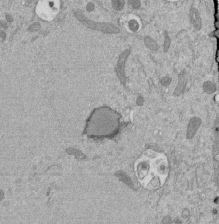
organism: Mouse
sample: ED-1 cell nuclei; centrioles